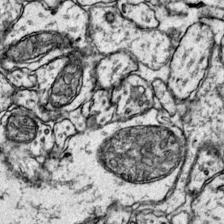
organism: Mouse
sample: Primary visual cortex